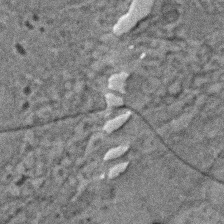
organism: Zebrafish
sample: Zebrafish embryo